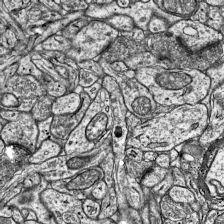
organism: Mouse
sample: Visual Cortex